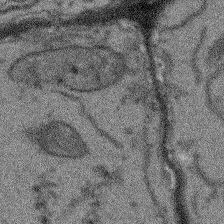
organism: Arabidopsis thaliana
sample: Root tip